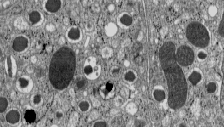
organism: C57BL Mouse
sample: Pancreatic islet